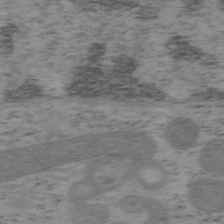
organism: Mouse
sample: OT-I killer T cells with ID8 ovarian cancer cells